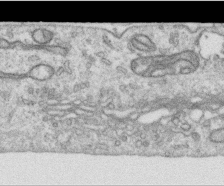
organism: Human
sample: Centriole in RPE cells